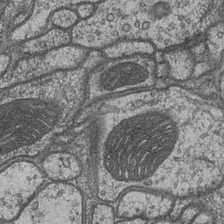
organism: Drosophila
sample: Optic medulla